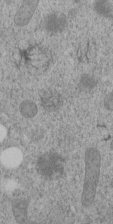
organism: C. elegans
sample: C. elegans embryo early stage